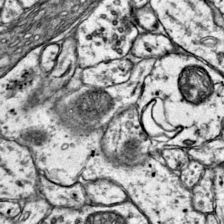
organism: Mouse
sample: Primary visual cortex